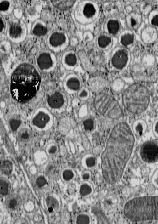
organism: C57BL Mouse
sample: Pancreatic islet